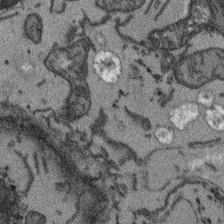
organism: Arabidopsis thaliana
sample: Root tip